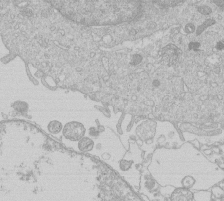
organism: Human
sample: Macrophage cells